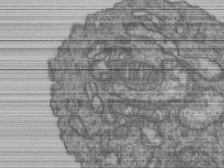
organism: Human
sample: Retinal organoid Rod and Cone cells